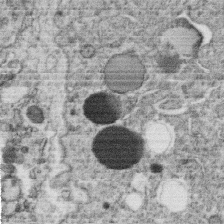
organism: C. elegans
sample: C. elegans oocyte; sperm cells